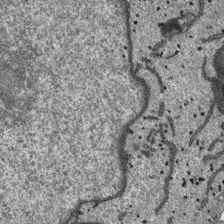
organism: Human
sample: Lung epithelial cells, uninfected (mock) control